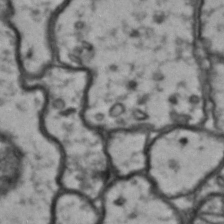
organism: Drosophila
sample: Brain